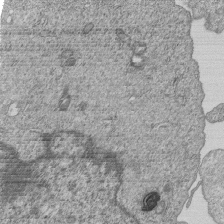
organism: Human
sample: MDA-MB-231 cells